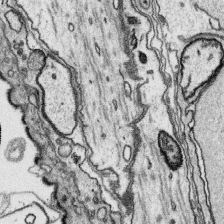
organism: Platynereis dumerilii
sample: Parapodia